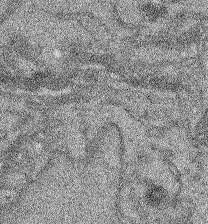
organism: Human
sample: HeLa cells